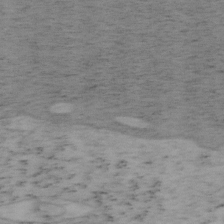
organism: Mouse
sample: OT-I killer T cells with ID8 ovarian cancer cells